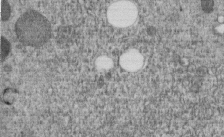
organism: C. elegans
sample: C. elegans embryo early stage